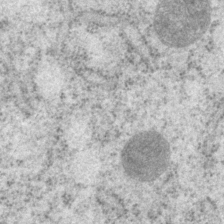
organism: P. pacificus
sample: Pharynx